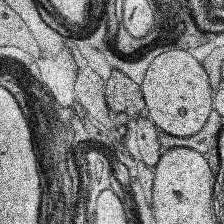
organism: Human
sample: Temporal Lobe